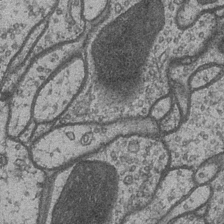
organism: Drosophila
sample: Optic medulla